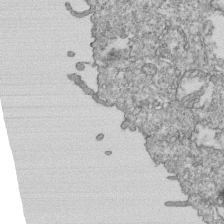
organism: Human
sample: HeLa cell HIV synapse